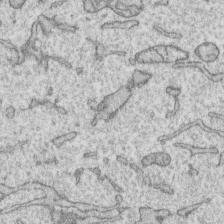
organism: Human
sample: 1205lu cells